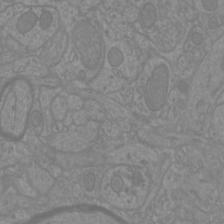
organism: Mouse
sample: Cortical neurons